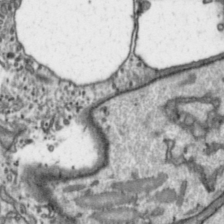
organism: Toxoplasma gondii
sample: Parasites in a vacuole inside a host cell